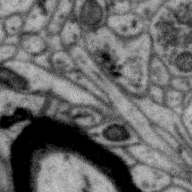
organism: Zebra finch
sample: Brain